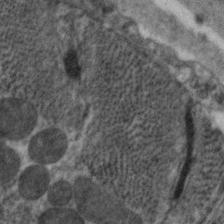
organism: C. elegans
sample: Pharynx